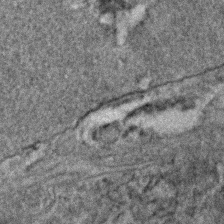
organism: C. elegans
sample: C. elegans embryo